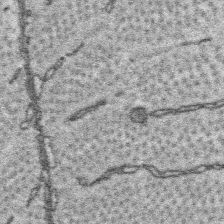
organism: Platynereis dumerilii